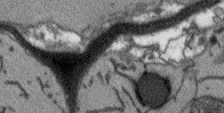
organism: Arabidopsis thaliana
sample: Root tip